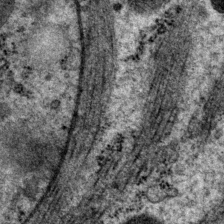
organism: P. pacificus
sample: Pharynx